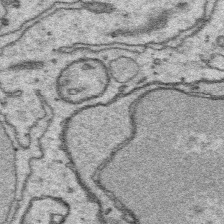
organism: Platynereis dumerilii